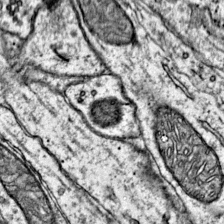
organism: Mouse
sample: Primary visual cortex